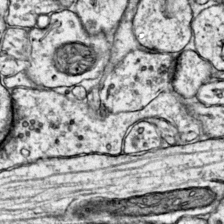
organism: Mouse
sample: Primary visual cortex